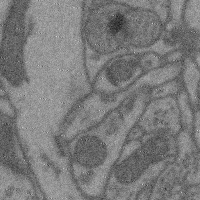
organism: Mouse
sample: Cerebral cortex